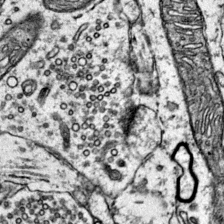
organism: Mouse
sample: Primary visual cortex